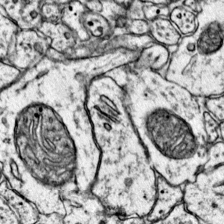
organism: Mouse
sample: Primary visual cortex